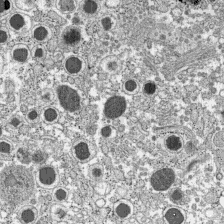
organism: C57BL Mouse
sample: Pancreatic islet